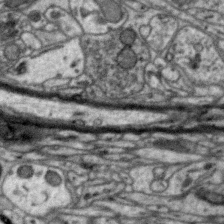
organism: Zebra finch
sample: Brain